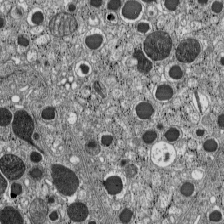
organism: C57BL Mouse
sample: Pancreatic islet